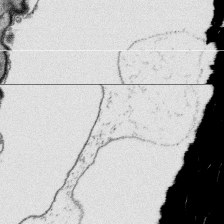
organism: Platynereis dumerilii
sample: Parapodia